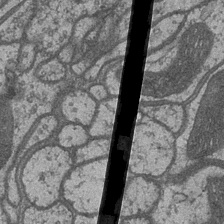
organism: Drosophila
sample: Optic medulla